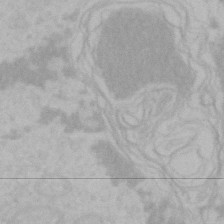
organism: Mouse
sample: Choroid plexus